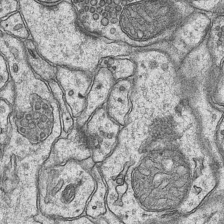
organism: Mouse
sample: CA1 Hippocampus